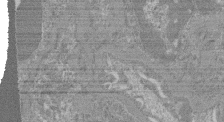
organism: Mouse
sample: Glomerulus